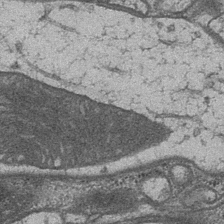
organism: Drosophila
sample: Optic medulla